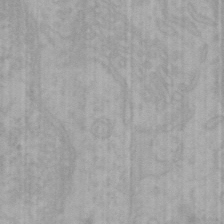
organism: Mouse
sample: Choroid plexus